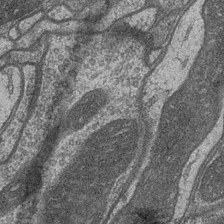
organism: Drosophila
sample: Optic medulla